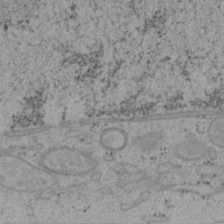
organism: Human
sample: HeLa cells